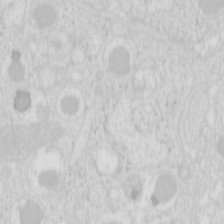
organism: Mouse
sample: Pancreas